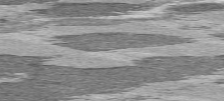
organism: C57BL Mouse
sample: Heart